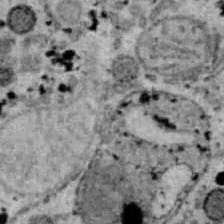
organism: Mouse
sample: Liver from an obese (ob/ob) mouse